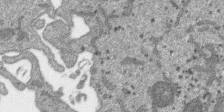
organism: Human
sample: Lung epithelial cells infected with SARS-CoV-2